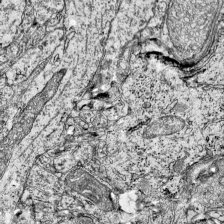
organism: Mouse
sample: Visual Cortex